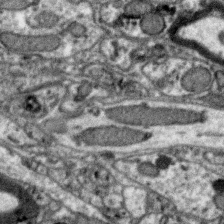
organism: Zebra finch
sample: Brain